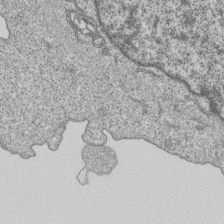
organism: Human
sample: MDA-MB-231 cells